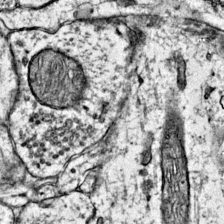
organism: Mouse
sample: Primary visual cortex